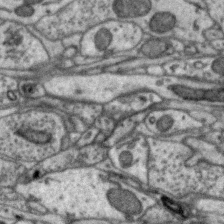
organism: Zebra finch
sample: Brain